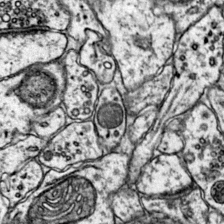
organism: Mouse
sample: Primary visual cortex